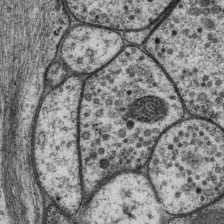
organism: P. pacificus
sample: Pharynx